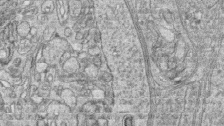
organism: Zebrafish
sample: synaptic ribbons in rod cells and cone cells